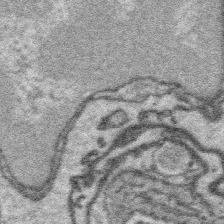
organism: Platynereis dumerilii